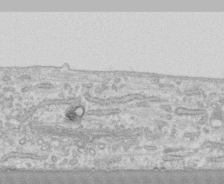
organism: Human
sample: CRL-1474